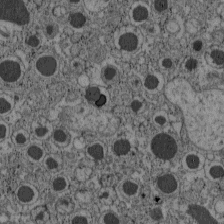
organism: C57BL Mouse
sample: Pancreatic islet